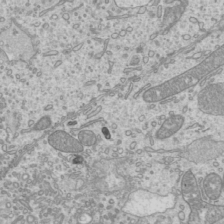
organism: Mouse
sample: Cilia; mouse epididymis